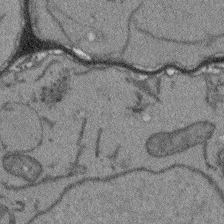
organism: Arabidopsis thaliana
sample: Root tip